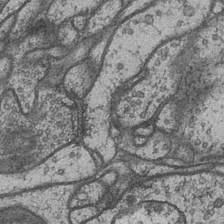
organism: Drosophila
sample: Optic medulla